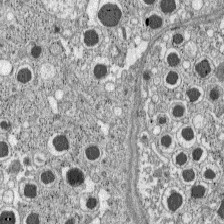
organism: C57BL Mouse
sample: Pancreatic islet